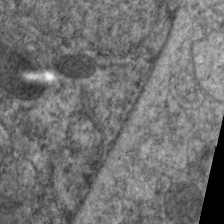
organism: C. elegans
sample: Pharynx